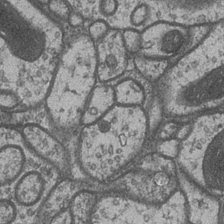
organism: Drosophila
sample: Optic medulla